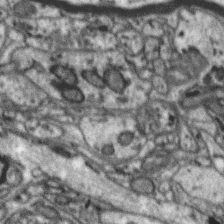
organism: Zebra finch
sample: Brain